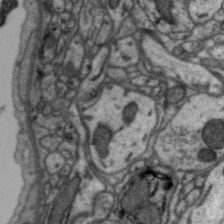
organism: Zebra finch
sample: Brain